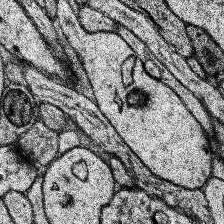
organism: Human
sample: Temporal Lobe